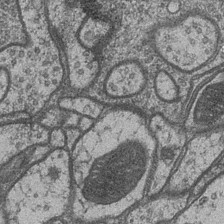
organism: Drosophila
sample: Optic medulla